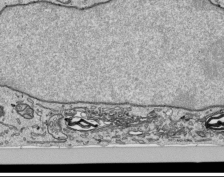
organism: Human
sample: Mitochondria in HCT116 cells